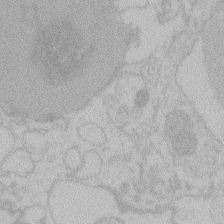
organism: Zebrafish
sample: Macrophage infected with Toxoplasma gondii